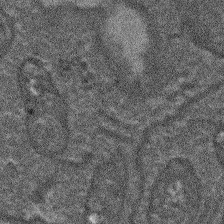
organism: Arabidopsis thaliana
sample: Root tip